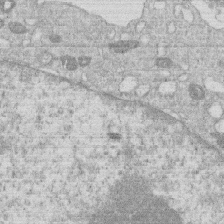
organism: Human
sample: Macrophage cells